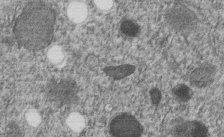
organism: C. elegans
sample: C. elegans embryo early stage